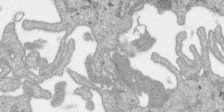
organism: Human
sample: Lung epithelial cells infected with SARS-CoV-2